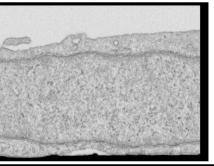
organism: Human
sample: Centriole in RPE cells